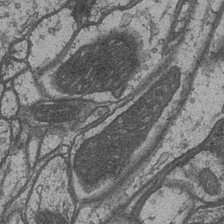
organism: Drosophila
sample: Optic medulla